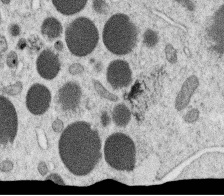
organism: C. elegans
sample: C. elegans oocyte; sperm cells